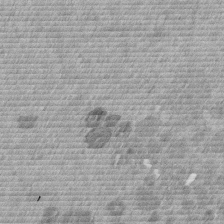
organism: Mouse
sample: Dividing mouse embryo 1 cell stage